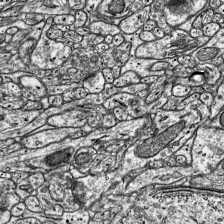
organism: Mouse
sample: Visual Cortex